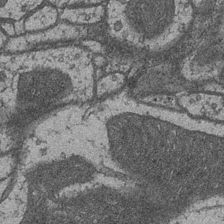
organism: Drosophila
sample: Optic medulla